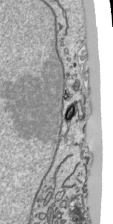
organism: Human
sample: Mitochondria in HCT116 cells